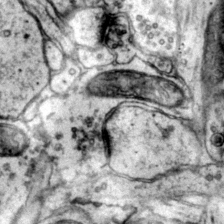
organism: Mouse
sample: Primary visual cortex